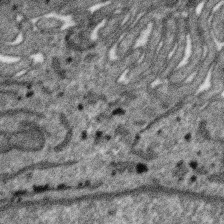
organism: Human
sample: Lung epithelial cells infected with SARS-CoV-2